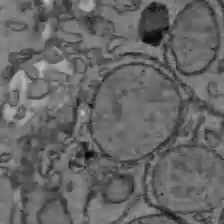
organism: C57BL Mouse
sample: Liver